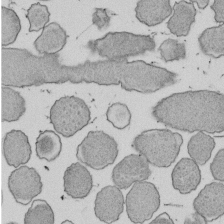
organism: E. coli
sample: Bacterial nucleoid